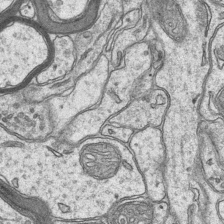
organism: Mouse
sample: CA1 Hippocampus